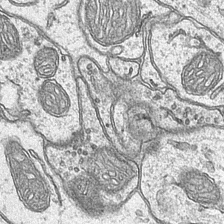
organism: Mouse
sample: CA1 Hippocampus